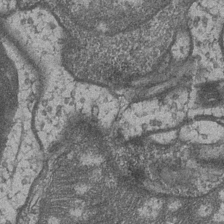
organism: Drosophila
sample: Optic medulla